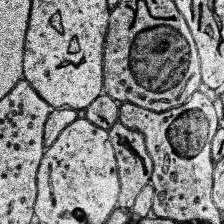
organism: Human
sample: Temporal Lobe